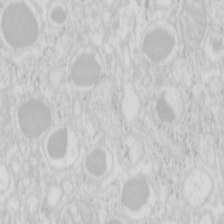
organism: Mouse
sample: Pancreas